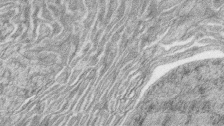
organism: Zebrafish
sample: synaptic ribbons in rod cells and cone cells